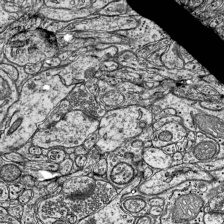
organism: Mouse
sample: Visual Cortex